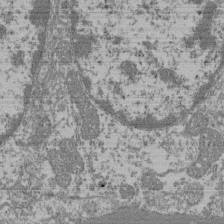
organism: Mouse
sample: Glomerulus